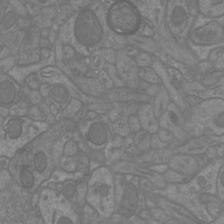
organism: Mouse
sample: Cortical neurons